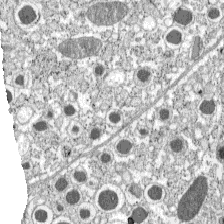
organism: C57BL Mouse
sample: Pancreatic islet